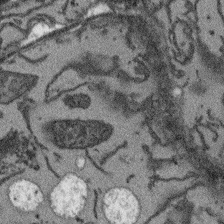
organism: Arabidopsis thaliana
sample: Root tip